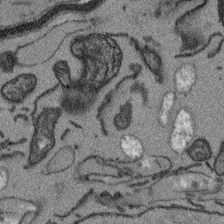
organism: Arabidopsis thaliana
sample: Root tip